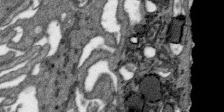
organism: Human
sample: Lung epithelial cells, uninfected (mock) control